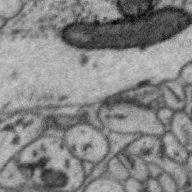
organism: Zebra finch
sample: Brain